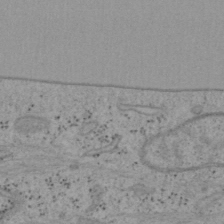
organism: Human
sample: HeLa cells